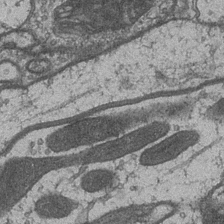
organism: Drosophila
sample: Optic medulla